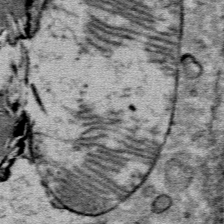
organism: Mouse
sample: Mouse Salivary gland